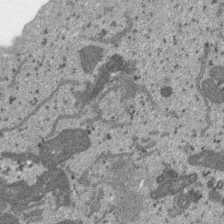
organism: Human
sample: Lung epithelial cells infected with SARS-CoV-2